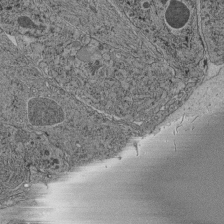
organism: C. elegans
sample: C. elegans pharynx